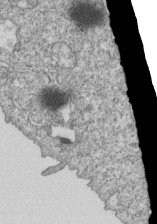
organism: Human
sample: HeLa cell HIV synapse